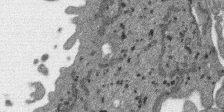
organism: Human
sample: Lung epithelial cells infected with SARS-CoV-2